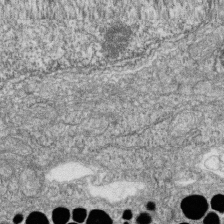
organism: Zebrafish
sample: Cilia; retinal pigment epithelium